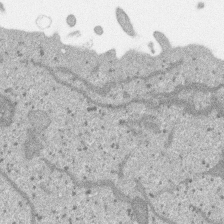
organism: Human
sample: Lung epithelial cells infected with SARS-CoV-2